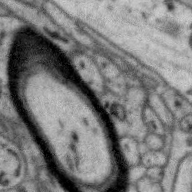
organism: Zebra finch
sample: Brain